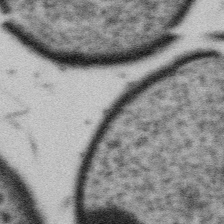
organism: Gemmata obscuriglobus